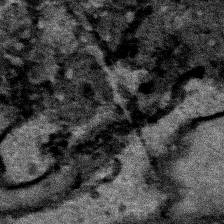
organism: Human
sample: Mitochondria in HCT116 cells